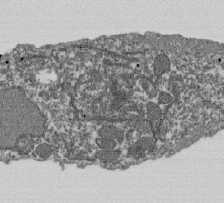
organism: Dictyostelium discoideum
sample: Dictyostelium multivesicular bodies